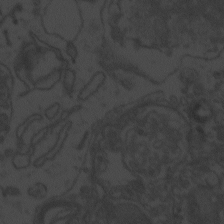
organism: Zebrafish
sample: Macrophage infected with Toxoplasma gondii